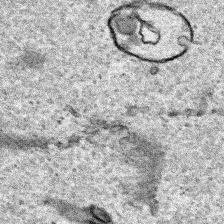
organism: Human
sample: Mitochondria in HCT116 cells